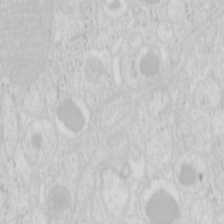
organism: Mouse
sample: Pancreas